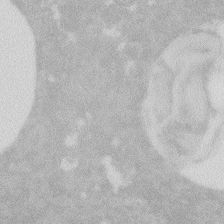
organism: Zebrafish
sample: Macrophage